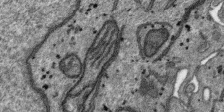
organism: Human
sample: Lung epithelial cells, uninfected (mock) control